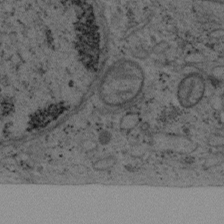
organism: Human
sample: HeLa cells